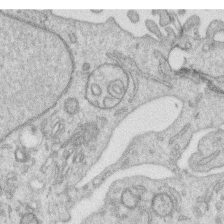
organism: Human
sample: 1205lu cells